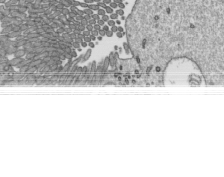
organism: Mouse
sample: Mouse epididymis efferent ductule cilia